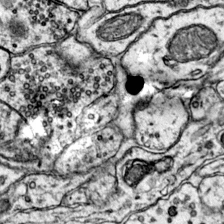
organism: Mouse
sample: Primary visual cortex